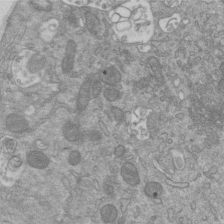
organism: Mouse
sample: ED-1 cell nuclei; centrioles